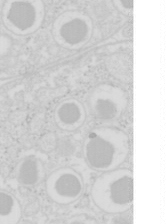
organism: Mouse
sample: Pancreas